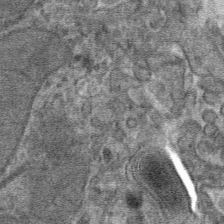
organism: Mouse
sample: Mouse hepatocytes